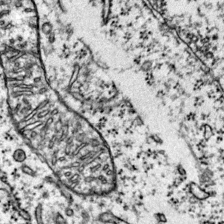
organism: Mouse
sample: Primary visual cortex